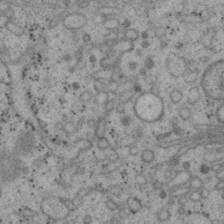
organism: Human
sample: HeLa cells